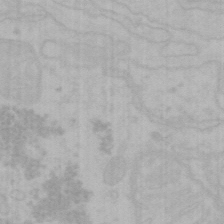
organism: Mouse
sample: Choroid plexus